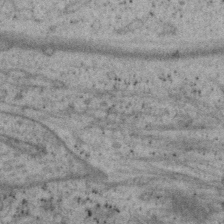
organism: Human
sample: HeLa cells